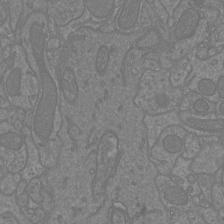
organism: Mouse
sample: Cortical neurons